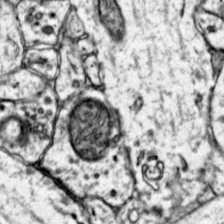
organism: Mouse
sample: Primary visual cortex